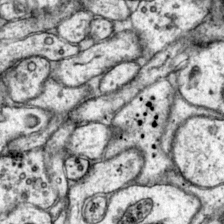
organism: Mouse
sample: Primary visual cortex